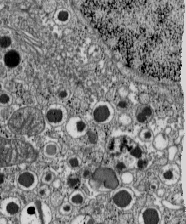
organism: C57BL Mouse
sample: Pancreatic islet